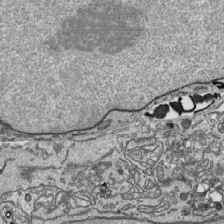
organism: Human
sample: Mitochondria in HCT116 cells